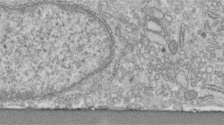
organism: Human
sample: Centriole in fibroblast cells